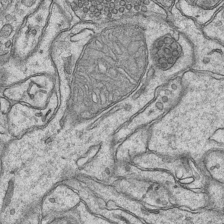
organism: Mouse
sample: CA1 Hippocampus